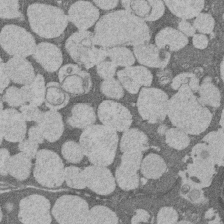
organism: Rat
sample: Salivary granule